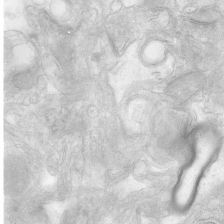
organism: Human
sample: Neocortex